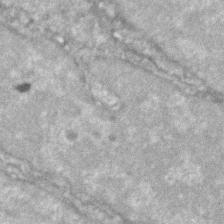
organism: Zebrafish